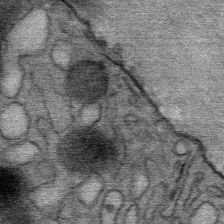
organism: Mouse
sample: Mouse Salivary gland